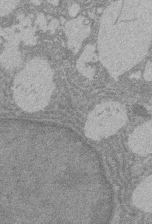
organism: Rat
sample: Salivary granule